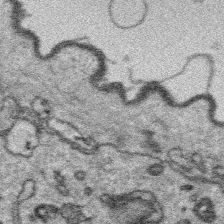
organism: Platynereis dumerilii